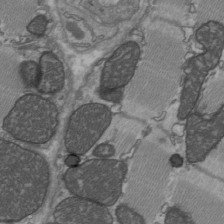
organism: C57BL Mouse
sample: Heart